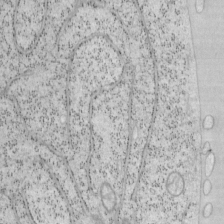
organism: Mouse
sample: OT-I killer T cells with ID8 ovarian cancer cells